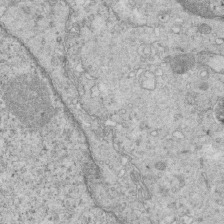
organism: Mouse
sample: Multiciliated cells